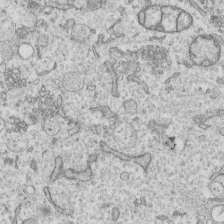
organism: Human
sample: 1205lu cells